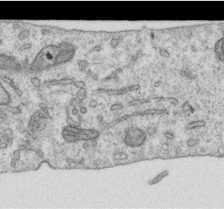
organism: Human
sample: Centriole in RPE cells